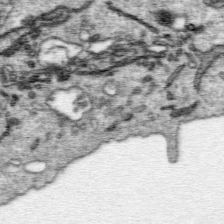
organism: Human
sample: HeLa cells